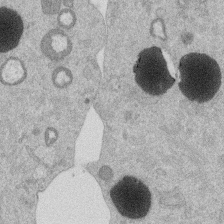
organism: Mouse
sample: Dividing mouse embryo 1 cell stage